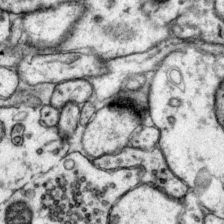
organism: Mouse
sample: Primary visual cortex